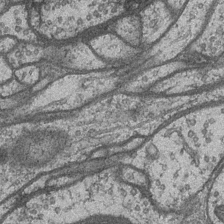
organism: Drosophila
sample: Optic medulla